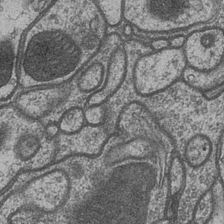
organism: Drosophila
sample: Optic medulla